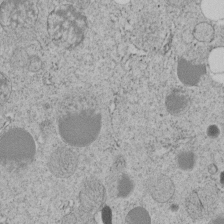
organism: C. elegans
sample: C. elegans embryo early stage